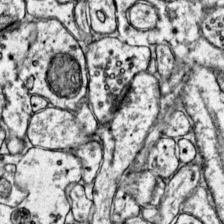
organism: Mouse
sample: Primary visual cortex